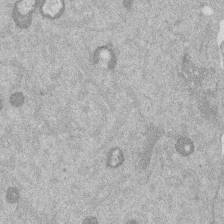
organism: Mouse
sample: Dividing mouse embryo 1 cell stage